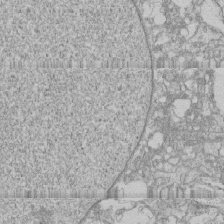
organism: Human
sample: CRL-1474